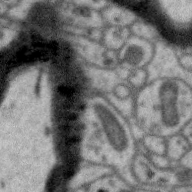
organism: Zebra finch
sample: Brain